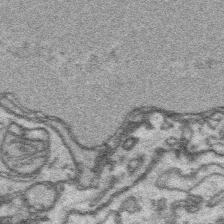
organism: Platynereis dumerilii